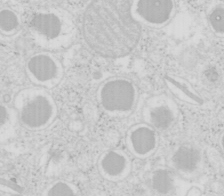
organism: Mouse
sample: Pancreas